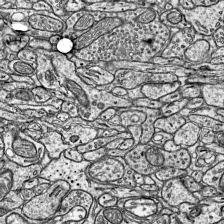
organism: Mouse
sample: Visual Cortex